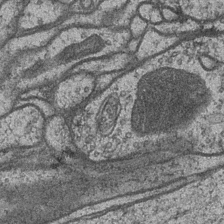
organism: Drosophila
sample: Optic medulla